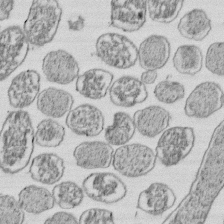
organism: E. coli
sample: Bacterial nucleoid